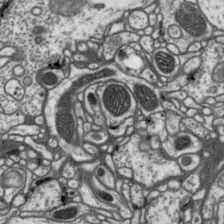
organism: Drosophila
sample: Protocerebral bridge